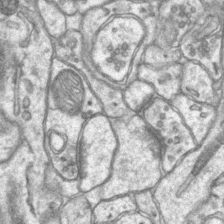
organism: Mouse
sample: CA1 Hippocampus